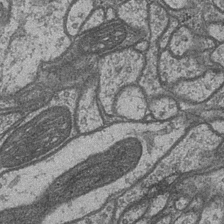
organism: Drosophila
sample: Optic medulla